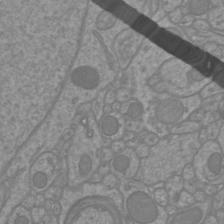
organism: Mouse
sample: Cortical neurons